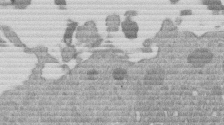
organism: Mouse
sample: Dividing mouse embryo 1 cell stage